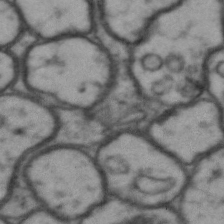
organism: Drosophila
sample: Brain